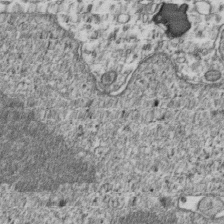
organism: Human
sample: Activated Jurkat CD4+ T cells